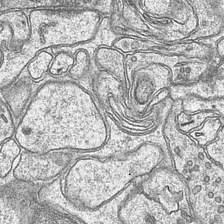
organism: Mouse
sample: CA1 Hippocampus